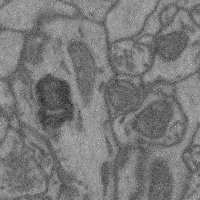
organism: Mouse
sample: Cerebral cortex